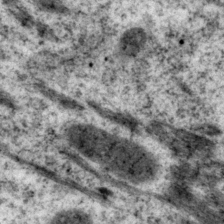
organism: P. pacificus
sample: Pharynx